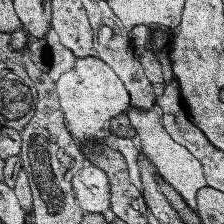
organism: Human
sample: Temporal Lobe